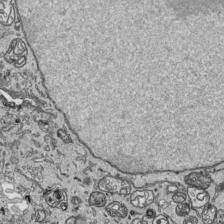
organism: Human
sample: Mitochondria in HCT116 cells